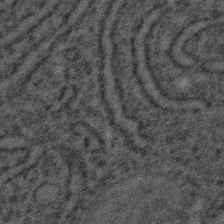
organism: C. elegans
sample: C. elegans embryo